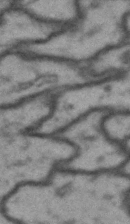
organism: Drosophila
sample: Brain